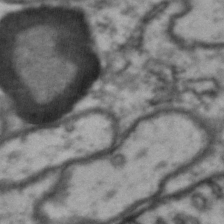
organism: Drosophila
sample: Brain